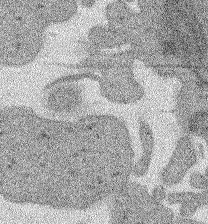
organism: Human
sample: HeLa cells